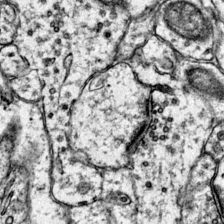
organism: Mouse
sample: Primary visual cortex